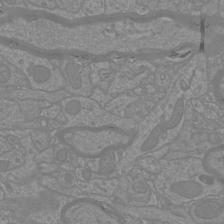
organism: Mouse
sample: Cortical neurons